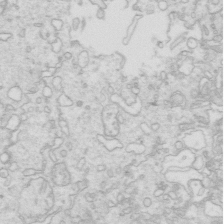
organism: Mouse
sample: Multiciliated cells